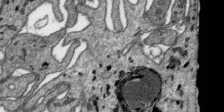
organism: Human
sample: Lung epithelial cells, uninfected (mock) control